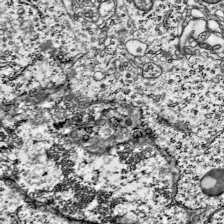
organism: Mouse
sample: Visual Cortex